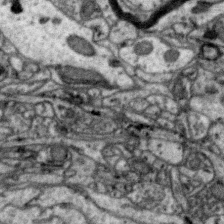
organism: Zebra finch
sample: Brain